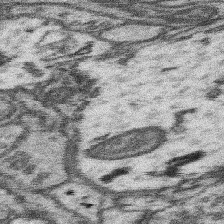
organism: Mouse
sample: Somatosensory cortex neuropil